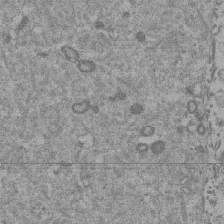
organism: Mouse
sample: Dividing mouse embryo 1 cell stage